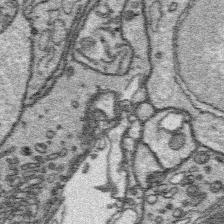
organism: Platynereis dumerilii